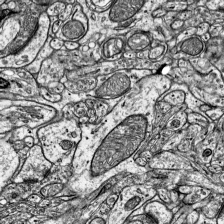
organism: Mouse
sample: Visual Cortex